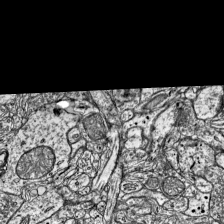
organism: Mouse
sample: Visual Cortex